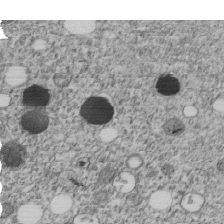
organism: C. elegans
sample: C. elegans embryo early stage